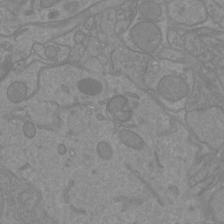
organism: Mouse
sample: Cortical neurons